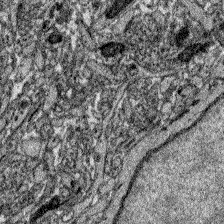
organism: Zebrafish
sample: Larval olfactory bulb